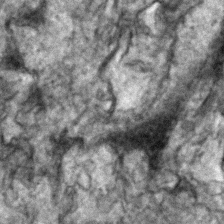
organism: Zebrafish